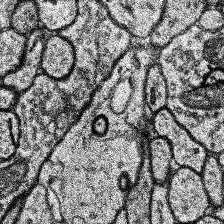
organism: Human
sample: Temporal Lobe